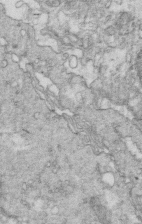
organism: Mouse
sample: Multiciliated cells